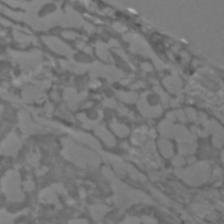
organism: C. elegans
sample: C. elegans embryo